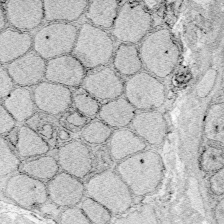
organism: Zebrafish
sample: Whole-Brain